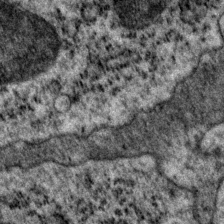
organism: P. pacificus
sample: Pharynx